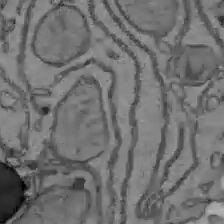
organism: C57BL Mouse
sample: Liver